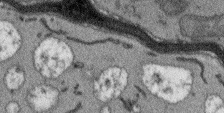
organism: Arabidopsis thaliana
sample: Root tip